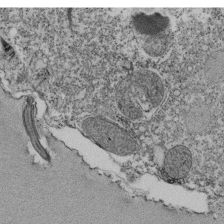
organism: Tetrahymena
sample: Cilia in tetrahymena